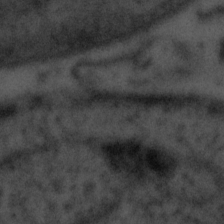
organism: Tuwongella immobilis